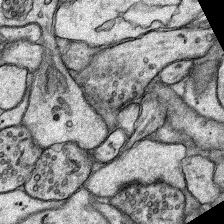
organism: Rat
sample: Hippocampus